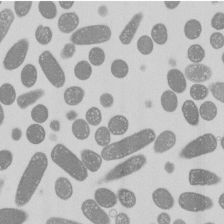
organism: E. coli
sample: Bacterial nucleoid